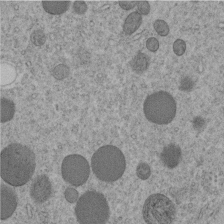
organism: C. elegans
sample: C. elegans embryo early stage